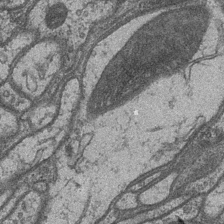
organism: Drosophila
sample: Optic medulla